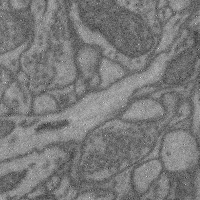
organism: Mouse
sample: Cerebral cortex